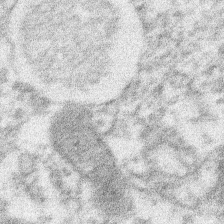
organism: Xenopus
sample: Cilia; centrioles in frog embryo cells